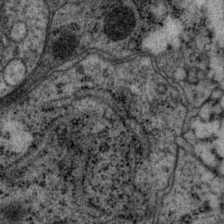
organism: P. pacificus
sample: Pharynx